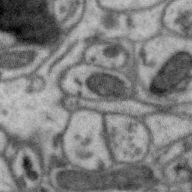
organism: Zebra finch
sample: Brain